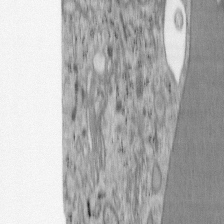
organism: Human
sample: HeLa cells